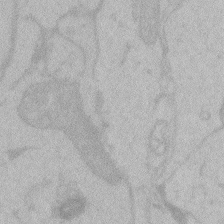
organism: Zebrafish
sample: Macrophage infected with Toxoplasma gondii